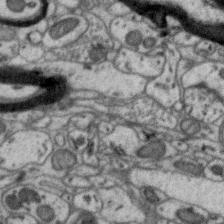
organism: Zebra finch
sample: Brain